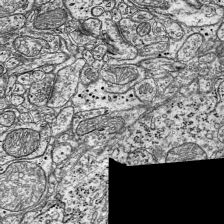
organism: Mouse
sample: Visual Cortex